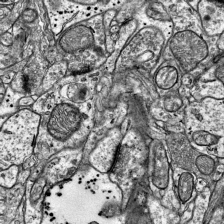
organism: Mouse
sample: Visual Cortex